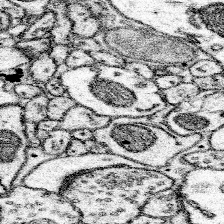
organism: Mouse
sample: Somatosensory cortex neuropil